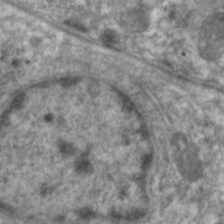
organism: C. elegans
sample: Pharynx